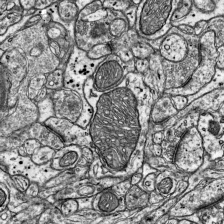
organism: Mouse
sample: Visual Cortex